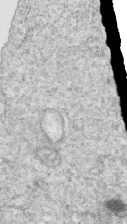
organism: Human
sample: HeLa cell HIV synapse